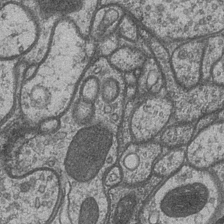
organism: Drosophila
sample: Optic medulla